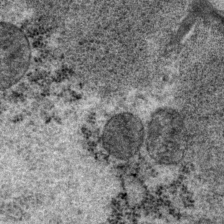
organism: P. pacificus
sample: Pharynx